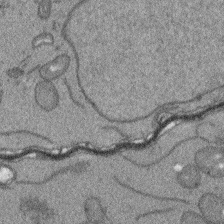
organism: Arabidopsis thaliana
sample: Root tip